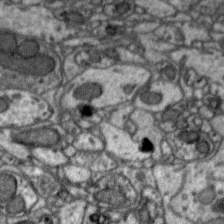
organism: Zebra finch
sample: Brain